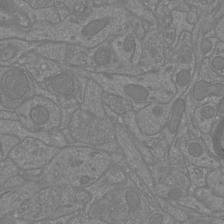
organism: Mouse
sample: Cortical neurons